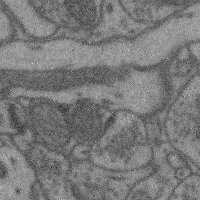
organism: Mouse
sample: Cerebral cortex